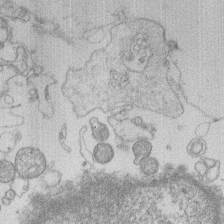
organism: Human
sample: Macrophage cells